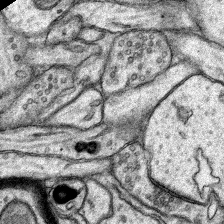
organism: Rat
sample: Hippocampus